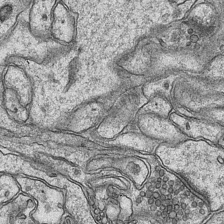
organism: Mouse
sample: CA1 Hippocampus